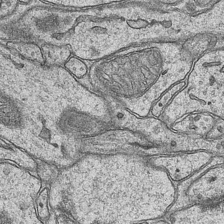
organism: Mouse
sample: CA1 Hippocampus